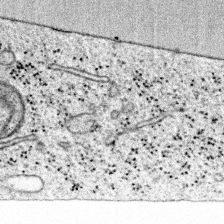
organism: Human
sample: HeLa cells